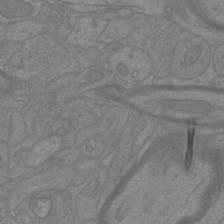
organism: Mouse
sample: Cortical neurons